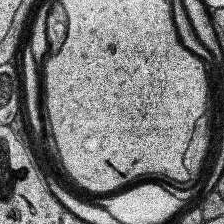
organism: Human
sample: Temporal Lobe